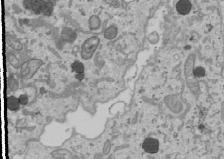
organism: Human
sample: Mitochondria in U2OS cells